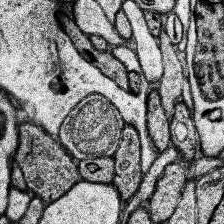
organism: Human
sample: Temporal Lobe